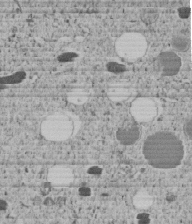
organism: C. elegans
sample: C. elegans embryo early stage